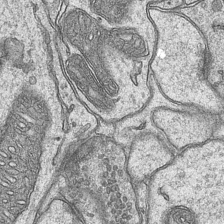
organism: Mouse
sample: CA1 Hippocampus